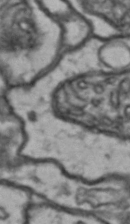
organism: Drosophila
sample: Brain